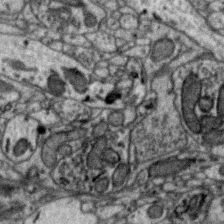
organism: Zebra finch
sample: Brain